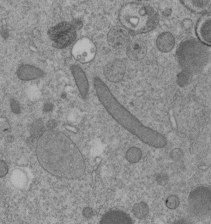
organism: C. elegans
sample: C. elegans embryo early stage